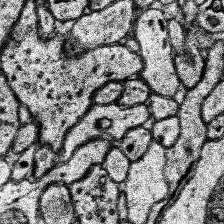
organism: Human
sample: Temporal Lobe